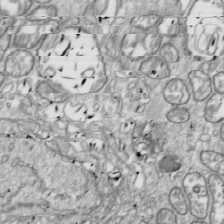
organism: Drosophila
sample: Cell division; meiosis; drosophila spermatocytes